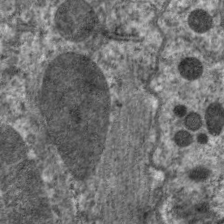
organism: C. elegans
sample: Pharynx